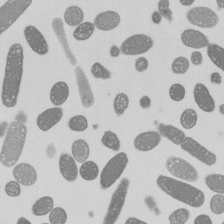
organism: E. coli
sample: Bacterial nucleoid